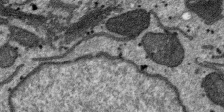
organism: Human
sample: Lung epithelial cells, uninfected (mock) control